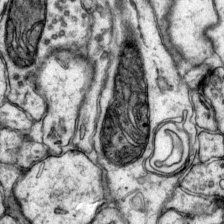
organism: Mouse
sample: Primary visual cortex